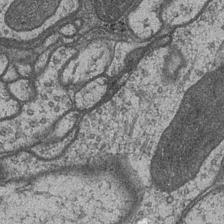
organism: Drosophila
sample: Optic medulla